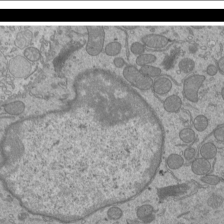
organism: Mouse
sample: Cilia; mouse epididymis